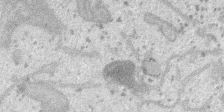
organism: Human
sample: Lung epithelial cells infected with SARS-CoV-2